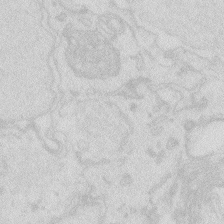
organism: Zebrafish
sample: Macrophage